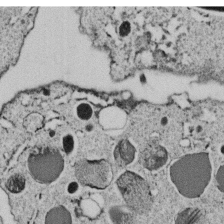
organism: C. elegans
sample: C. elegans embryo early stage